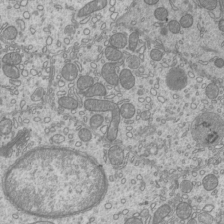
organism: Mouse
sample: Cilia; mouse epididymis